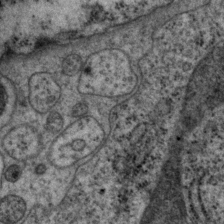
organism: P. pacificus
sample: Pharynx